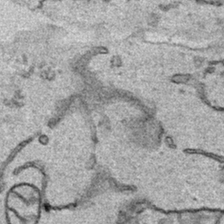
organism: Human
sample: Mitochondria in HCT116 cells